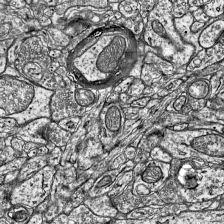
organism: Mouse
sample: Visual Cortex